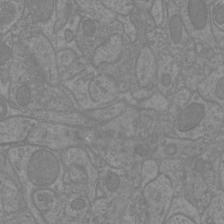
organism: Mouse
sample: Cortical neurons